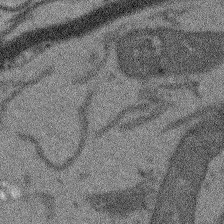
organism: Arabidopsis thaliana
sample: Root tip